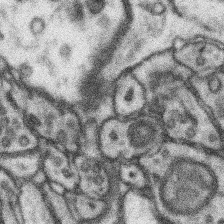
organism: Mouse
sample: Somatosensory cortex neuropil